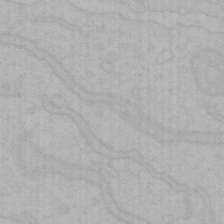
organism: Mouse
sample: Choroid plexus